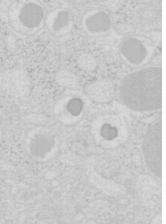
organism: Mouse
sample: Pancreas